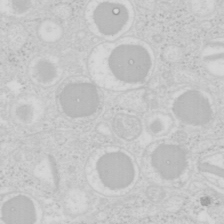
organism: Mouse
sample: Pancreas